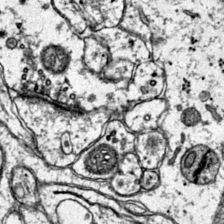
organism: Mouse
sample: Primary visual cortex